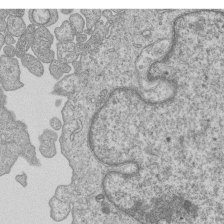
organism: Human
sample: MDA-MB-231 cells